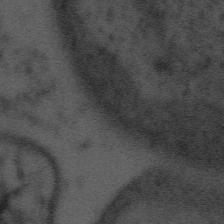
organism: Tuwongella immobilis